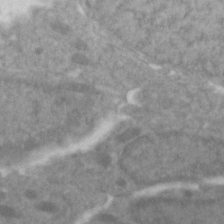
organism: Zebrafish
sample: Zebrafish embryo